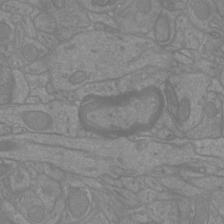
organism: Mouse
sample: Cortical neurons